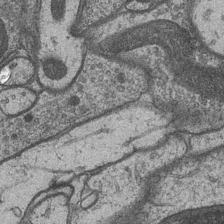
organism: Drosophila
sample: Optic medulla